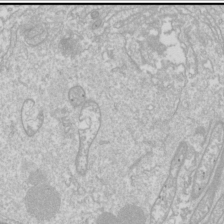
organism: Drosophila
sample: Cell division; meiosis; drosophila spermatocytes